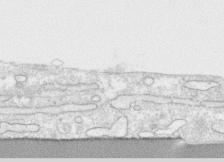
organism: Human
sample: CRL-1474